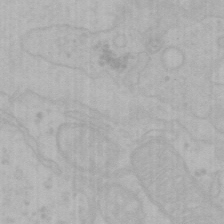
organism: Mouse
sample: Choroid plexus